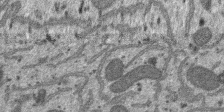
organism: Human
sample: Lung epithelial cells infected with SARS-CoV-2